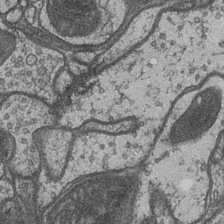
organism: Drosophila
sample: Optic medulla